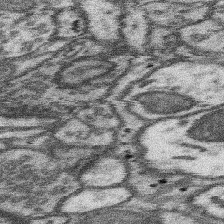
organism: Mouse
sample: Somatosensory cortex neuropil